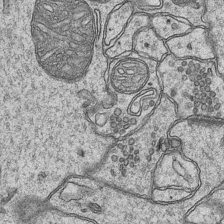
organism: Mouse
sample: CA1 Hippocampus